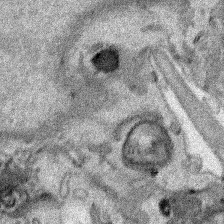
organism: Human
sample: Mitochondria in HCT116 cells